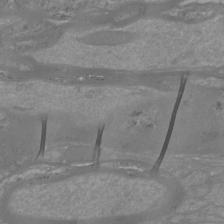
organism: Mouse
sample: Cortical neurons